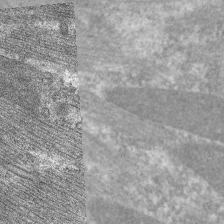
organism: C. elegans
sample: Pharynx